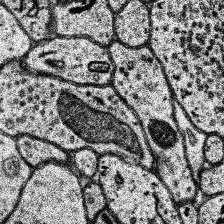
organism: Human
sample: Temporal Lobe